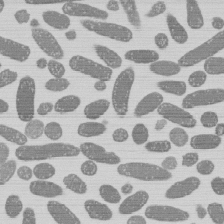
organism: E. coli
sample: Bacterial nucleoid